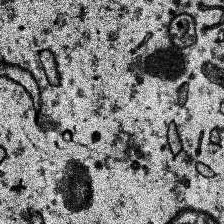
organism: Human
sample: Temporal Lobe